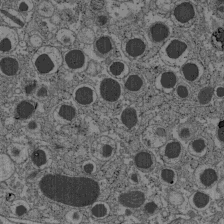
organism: C57BL Mouse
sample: Pancreatic islet